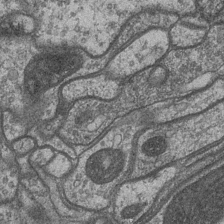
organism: Drosophila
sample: Optic medulla